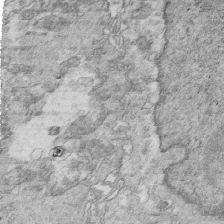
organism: Mouse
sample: Multiciliated cells